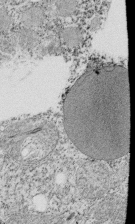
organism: Tetrahymena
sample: Cilia in tetrahymena